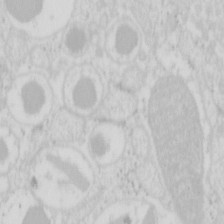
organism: Mouse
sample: Pancreas